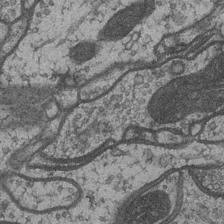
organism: Drosophila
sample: Optic medulla